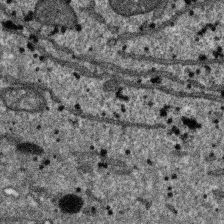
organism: Human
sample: Lung epithelial cells infected with SARS-CoV-2